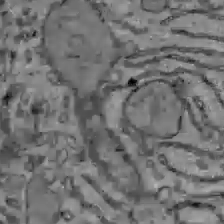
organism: C57BL Mouse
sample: Liver